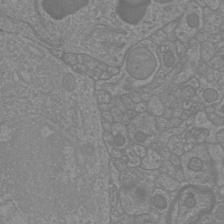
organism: Mouse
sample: Cortical neurons